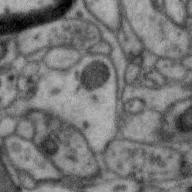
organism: Zebra finch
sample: Brain